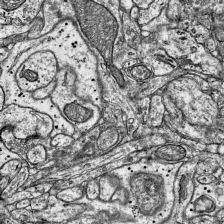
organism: Mouse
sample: Visual Cortex